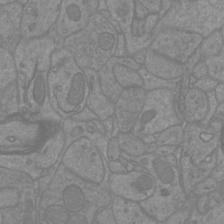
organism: Mouse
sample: Cortical neurons